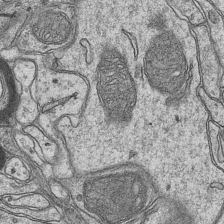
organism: Mouse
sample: CA1 Hippocampus